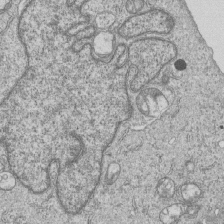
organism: Human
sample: MDA-MB-231 cells